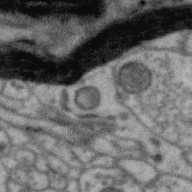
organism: Zebra finch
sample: Brain